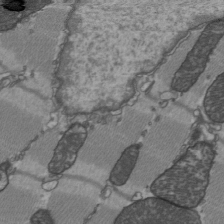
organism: C57BL Mouse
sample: Heart